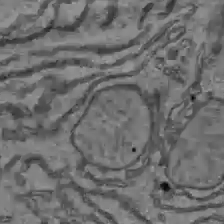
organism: C57BL Mouse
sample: Liver